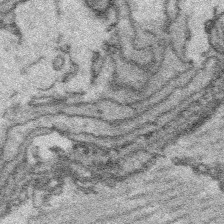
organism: Platynereis dumerilii